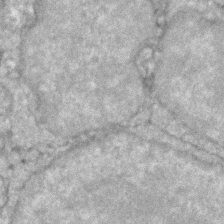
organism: Zebrafish